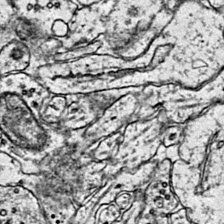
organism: Mouse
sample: Primary visual cortex